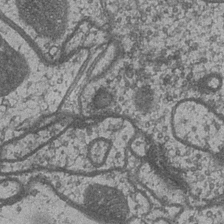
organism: Drosophila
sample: Optic medulla